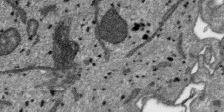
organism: Human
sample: Lung epithelial cells, uninfected (mock) control